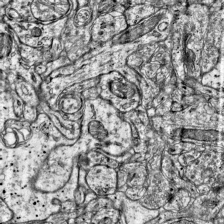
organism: Mouse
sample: Visual Cortex